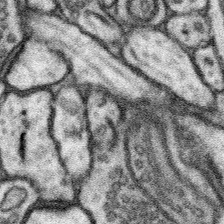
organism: Mouse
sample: Somatosensory cortex neuropil